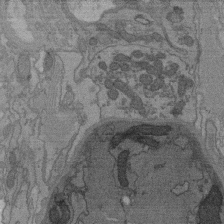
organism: C. elegans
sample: AFD neurons C. elegans